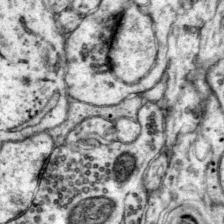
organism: Mouse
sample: Primary visual cortex